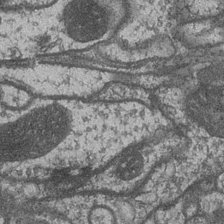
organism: Drosophila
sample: Optic medulla